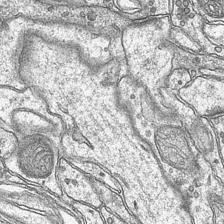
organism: Mouse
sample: CA1 Hippocampus